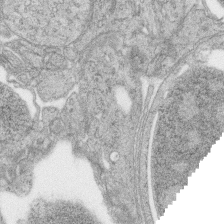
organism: Zebrafish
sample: synaptic ribbons in rod cells and cone cells